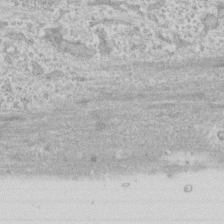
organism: Human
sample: CRL-1474